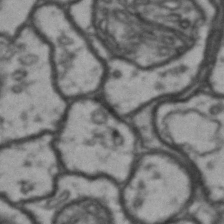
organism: Drosophila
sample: Brain